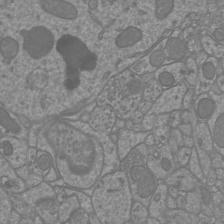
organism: Mouse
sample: Cortical neurons